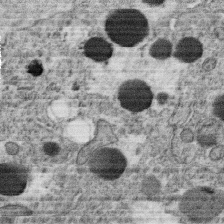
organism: C. elegans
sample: C. elegans oocyte; sperm cells